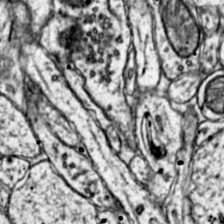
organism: Mouse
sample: Primary visual cortex